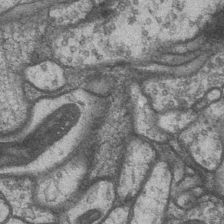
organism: Drosophila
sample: Optic medulla